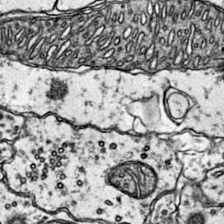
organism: Mouse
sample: Primary visual cortex